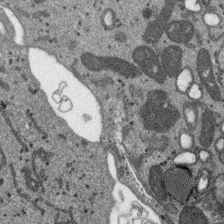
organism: Human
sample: Lung epithelial cells infected with SARS-CoV-2